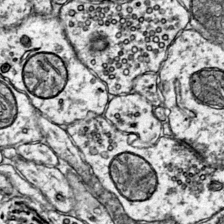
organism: Mouse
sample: Primary visual cortex